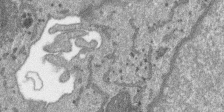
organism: Human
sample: Lung epithelial cells infected with SARS-CoV-2